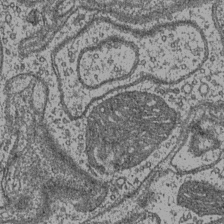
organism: Drosophila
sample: Optic medulla